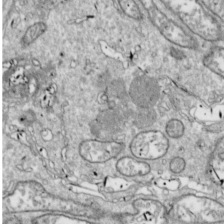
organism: Drosophila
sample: Cell division; meiosis; drosophila spermatocytes